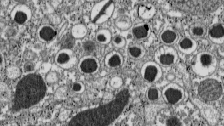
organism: C57BL Mouse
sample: Pancreatic islet